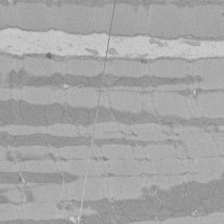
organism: Rat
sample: Left ventricle